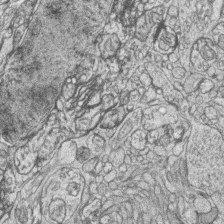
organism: Zebrafish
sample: synaptic ribbons in rod cells and cone cells